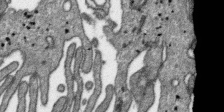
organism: Human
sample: Lung epithelial cells, uninfected (mock) control